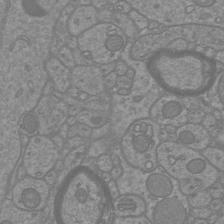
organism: Mouse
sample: Cortical neurons